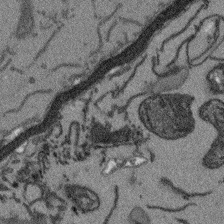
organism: Arabidopsis thaliana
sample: Root tip